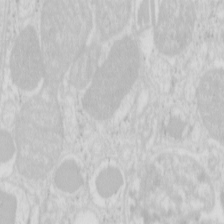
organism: Mouse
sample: Pancreas